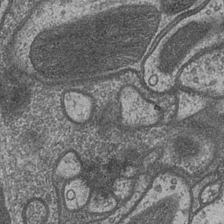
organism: Drosophila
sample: Optic medulla